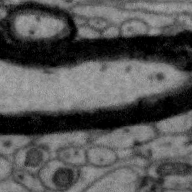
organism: Zebra finch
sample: Brain